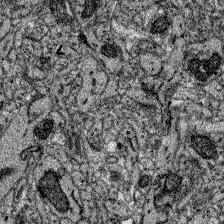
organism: Zebrafish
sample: Larval olfactory bulb